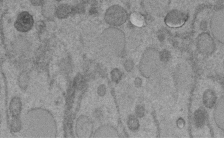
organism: C. elegans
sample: C. elegans embryo early stage